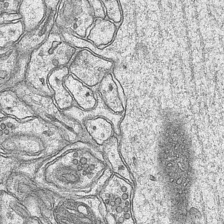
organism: Mouse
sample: CA1 Hippocampus